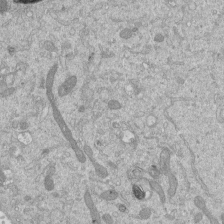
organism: Mouse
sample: ED-1 cell nuclei; centrioles